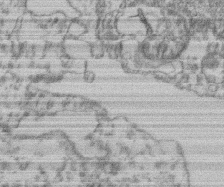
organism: Mouse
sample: T cell stromal cell synapse